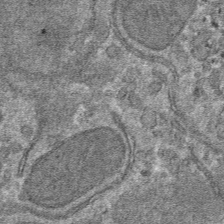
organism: Mouse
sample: Mouse hepatocytes